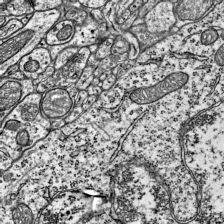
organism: Mouse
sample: Visual Cortex